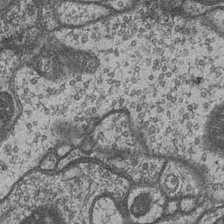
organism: Drosophila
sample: Optic medulla